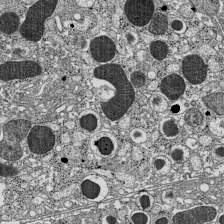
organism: C57BL Mouse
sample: Pancreatic islet